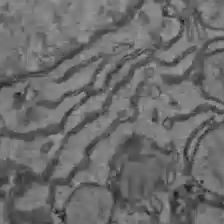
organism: C57BL Mouse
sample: Liver